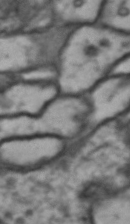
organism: Drosophila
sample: Brain